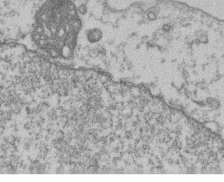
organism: Mouse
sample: T cell stromal cell synapse